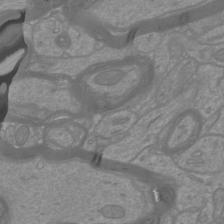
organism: Mouse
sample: Cortical neurons